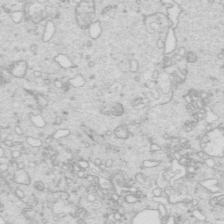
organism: Mouse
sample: Multiciliated cells